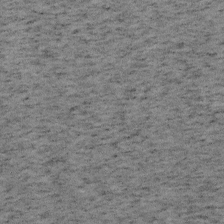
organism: Mouse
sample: OT-I killer T cells with ID8 ovarian cancer cells